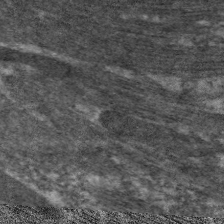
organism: C. elegans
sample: Pharynx